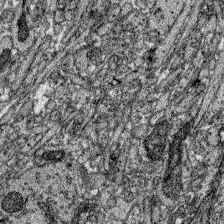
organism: Zebrafish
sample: Larval olfactory bulb